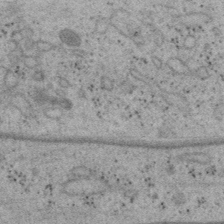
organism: Human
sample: HeLa cells